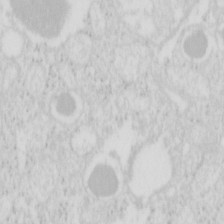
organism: Mouse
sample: Pancreas